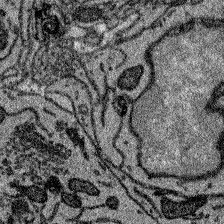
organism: Zebrafish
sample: Larval olfactory bulb